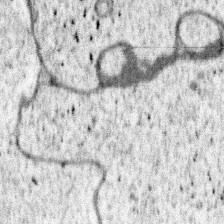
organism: Human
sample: HeLa cells